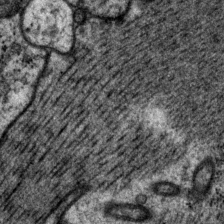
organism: P. pacificus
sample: Pharynx